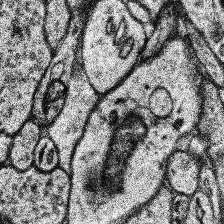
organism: Human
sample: Temporal Lobe